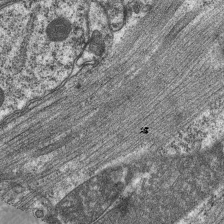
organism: C. elegans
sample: Pharynx